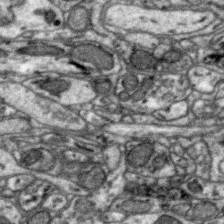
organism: Zebra finch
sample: Brain